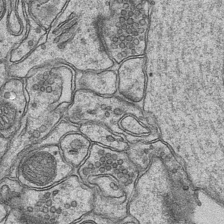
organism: Mouse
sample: CA1 Hippocampus